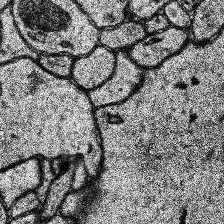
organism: Human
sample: Temporal Lobe